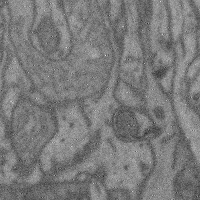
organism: Mouse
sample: Cerebral cortex